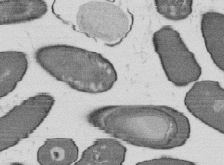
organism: B. subtilis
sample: Bacterial spore